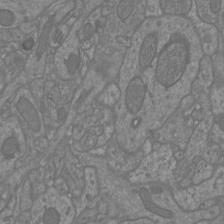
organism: Mouse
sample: Cortical neurons